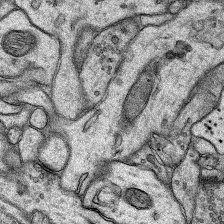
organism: Rat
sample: Hippocampus